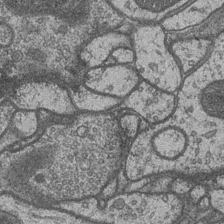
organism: Drosophila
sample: Optic medulla